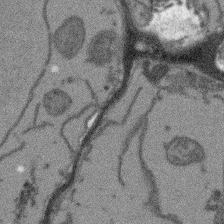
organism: Arabidopsis thaliana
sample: Root tip